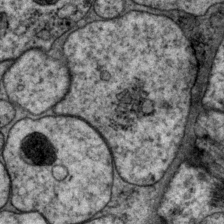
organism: P. pacificus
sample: Pharynx